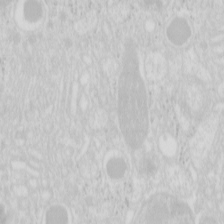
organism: Mouse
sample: Pancreas